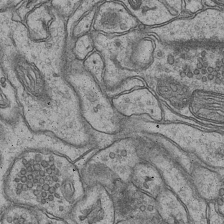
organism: Mouse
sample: CA1 Hippocampus